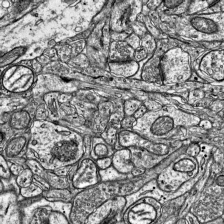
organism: Mouse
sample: Visual Cortex